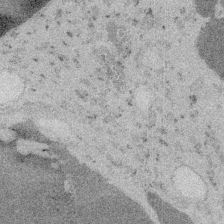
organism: Embia sp.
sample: Silk gland